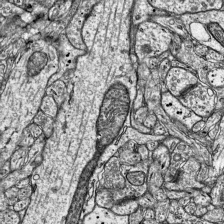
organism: Mouse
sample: Visual Cortex